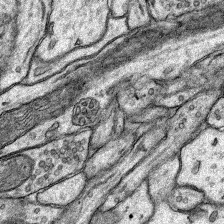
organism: Rat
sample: Hippocampus